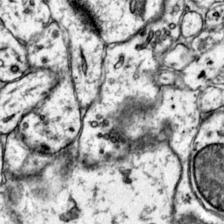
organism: Mouse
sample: Primary visual cortex